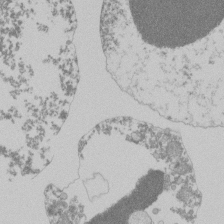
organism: Mouse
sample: Activated Pmel transgenic CD8+ T Cells